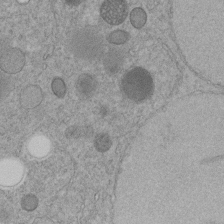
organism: C. elegans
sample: C. elegans embryo early stage